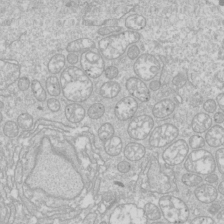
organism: Drosophila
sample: Cell division; meiosis; drosophila spermatocytes